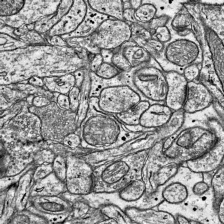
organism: Mouse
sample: Visual Cortex